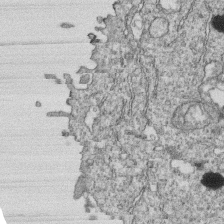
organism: Human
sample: HeLa cell HIV synapse